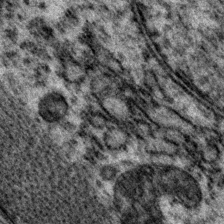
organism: P. pacificus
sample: Pharynx